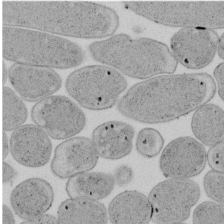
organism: E. coli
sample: Bacterial nucleoid